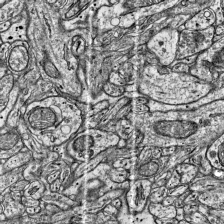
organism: Mouse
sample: Visual Cortex